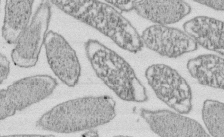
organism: E. coli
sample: Bacterial nucleoid